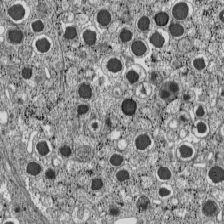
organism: C57BL Mouse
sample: Pancreatic islet